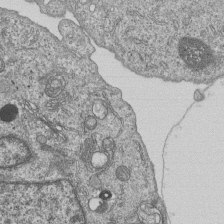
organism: Human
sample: MDA-MB-231 cells